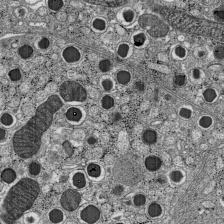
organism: C57BL Mouse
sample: Pancreatic islet